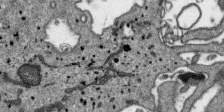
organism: Human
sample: Lung epithelial cells, uninfected (mock) control